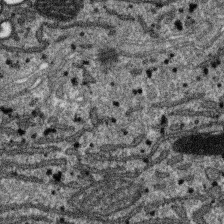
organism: Human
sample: Lung epithelial cells infected with SARS-CoV-2